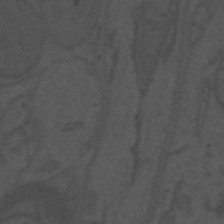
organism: Mouse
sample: Suprachiasmatic nucleus